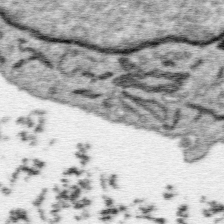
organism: Human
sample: HeLa cells